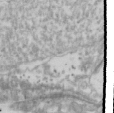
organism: Drosophila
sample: Cell division; meiosis; drosophila spermatocytes